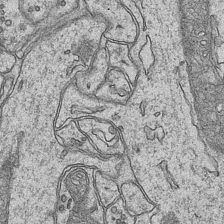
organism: Mouse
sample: CA1 Hippocampus